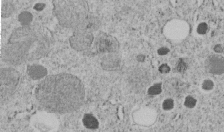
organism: C. elegans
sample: C. elegans embryo early stage